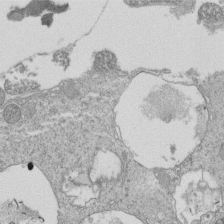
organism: Tetrahymena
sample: Cilia in tetrahymena